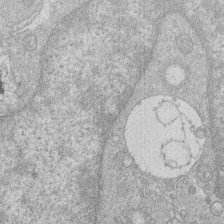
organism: Human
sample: Macrophage cells